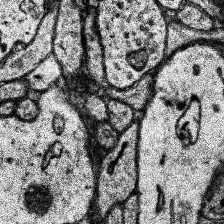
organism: Human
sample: Temporal Lobe